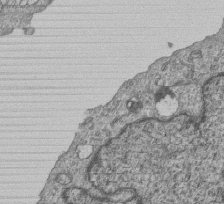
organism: Human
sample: MDA-MB-231 cells